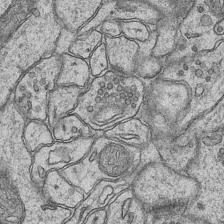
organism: Mouse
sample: CA1 Hippocampus